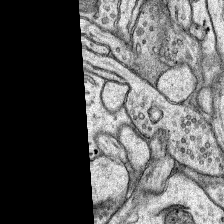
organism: Rat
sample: Hippocampus